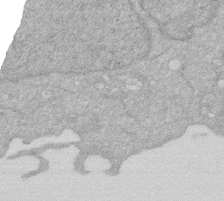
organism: Human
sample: HIV infected U937 cells